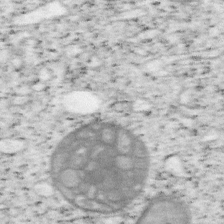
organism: Mouse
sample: OT-I killer T cells with ID8 ovarian cancer cells